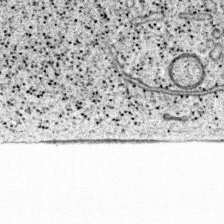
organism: Human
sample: HeLa cells